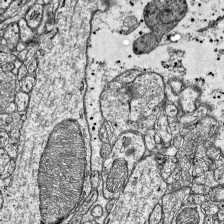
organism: Mouse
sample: Visual Cortex